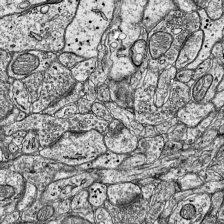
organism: Mouse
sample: Visual Cortex